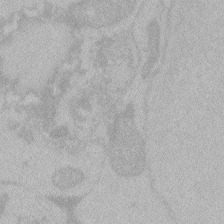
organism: Zebrafish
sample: Macrophage infected with Toxoplasma gondii